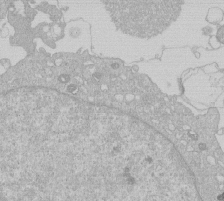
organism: Human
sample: Macrophage cells